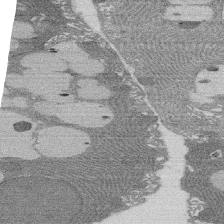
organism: Rat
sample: Salivary granule